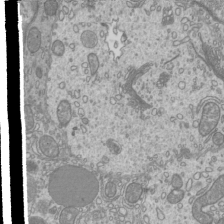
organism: Mouse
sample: Cilia; mouse epididymis